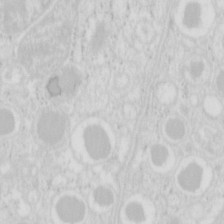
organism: Mouse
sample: Pancreas